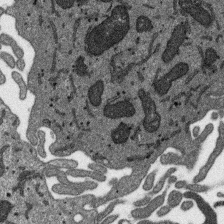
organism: Human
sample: Lung epithelial cells infected with SARS-CoV-2